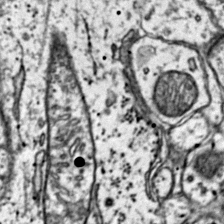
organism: Mouse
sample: Primary visual cortex